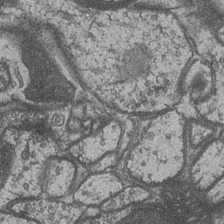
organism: Drosophila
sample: Optic medulla